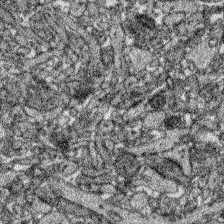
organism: Zebrafish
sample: Larval olfactory bulb